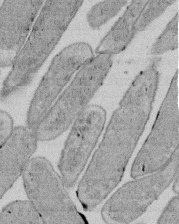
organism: E. coli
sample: Bacterial nucleoid